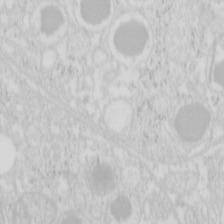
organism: Mouse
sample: Pancreas